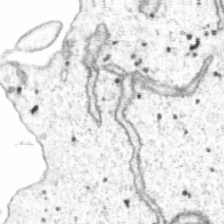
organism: Human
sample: HeLa cells